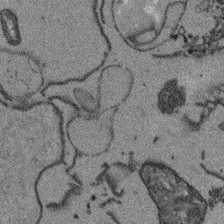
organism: Arabidopsis thaliana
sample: Root tip